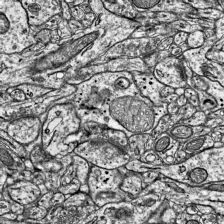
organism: Mouse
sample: Visual Cortex